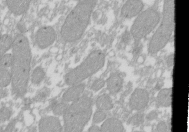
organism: Xenopus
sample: Cilia; centrioles in frog embryo cells